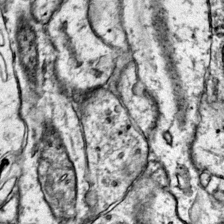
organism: Mouse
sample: Primary visual cortex